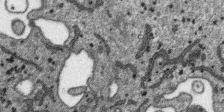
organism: Human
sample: Lung epithelial cells infected with SARS-CoV-2